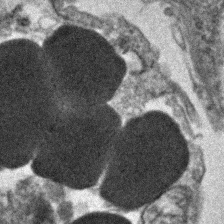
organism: Human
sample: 1205lu cells